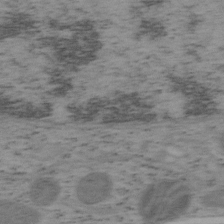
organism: Mouse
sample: OT-I killer T cells with ID8 ovarian cancer cells